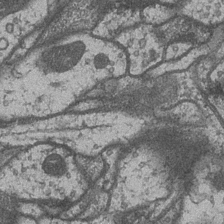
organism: Drosophila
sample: Optic medulla